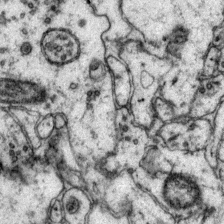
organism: Mouse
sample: Primary visual cortex